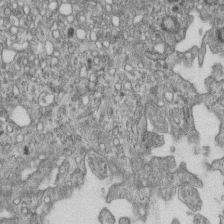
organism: Mouse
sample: Centriole in ependymal cells